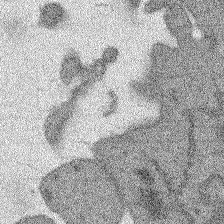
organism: Human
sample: HeLa cells